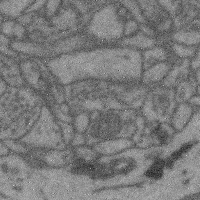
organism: Mouse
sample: Cerebral cortex